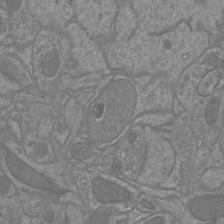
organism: Mouse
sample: Cortical neurons